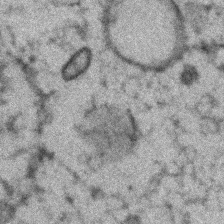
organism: Zebrafish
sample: Zebrafish embryo